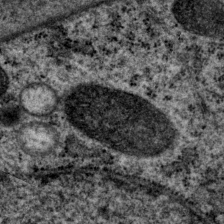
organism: P. pacificus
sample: Pharynx